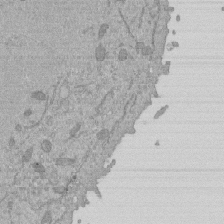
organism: Mouse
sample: ED-1 cell nuclei; centrioles